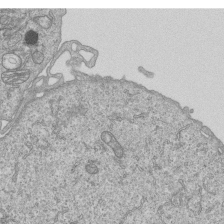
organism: Human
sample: MDA-MB-231 cells